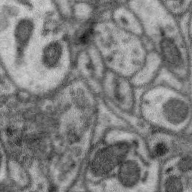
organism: Zebra finch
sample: Brain